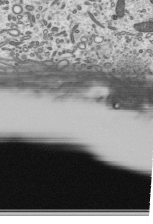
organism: Mouse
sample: Mouse epididymis efferent ductule cilia